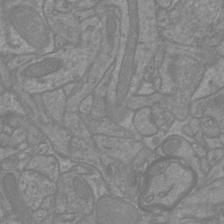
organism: Mouse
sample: Cortical neurons